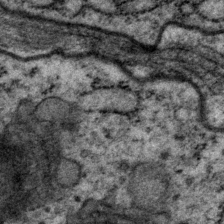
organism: P. pacificus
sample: Pharynx